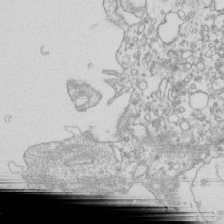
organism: Mouse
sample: Macrophages